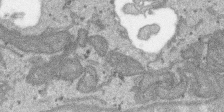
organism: Human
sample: Lung epithelial cells infected with SARS-CoV-2